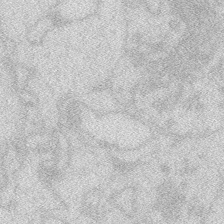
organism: Zebrafish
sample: Macrophage